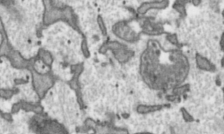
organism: Toxoplasma gondii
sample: Parasites in a vacuole inside a host cell